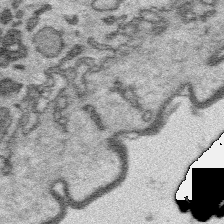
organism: Platynereis dumerilii